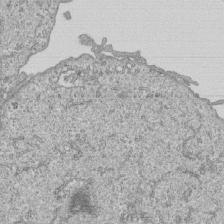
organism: Human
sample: MDA-MB-231 cells